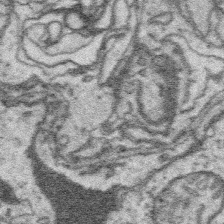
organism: Platynereis dumerilii